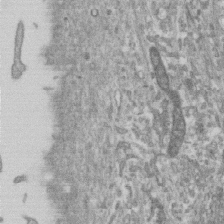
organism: Human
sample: Centriole in RPE cells